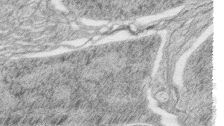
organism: Zebrafish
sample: synaptic ribbons in rod cells and cone cells